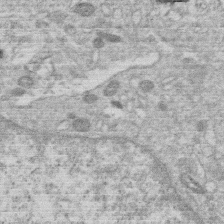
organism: Human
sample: Macrophage cells